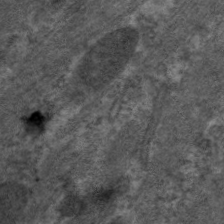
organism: C. elegans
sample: Pharynx